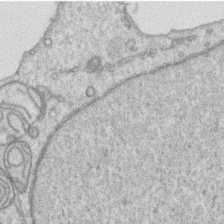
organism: Human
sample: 1205lu cells